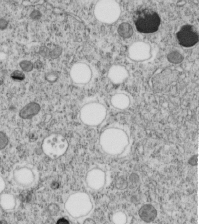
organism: C. elegans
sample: C. elegans embryo early stage